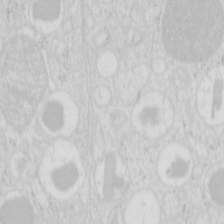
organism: Mouse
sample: Pancreas